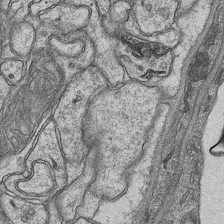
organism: Mouse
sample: CA1 Hippocampus